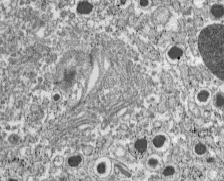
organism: C57BL Mouse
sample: Pancreatic islet